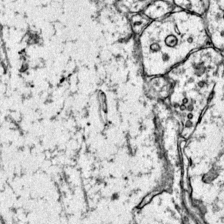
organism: Mouse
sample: Primary visual cortex